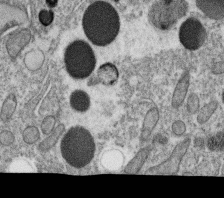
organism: C. elegans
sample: C. elegans oocyte; sperm cells